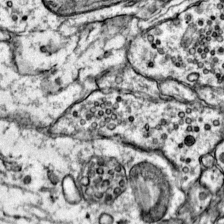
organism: Mouse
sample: Primary visual cortex